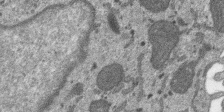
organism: Human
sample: Lung epithelial cells infected with SARS-CoV-2